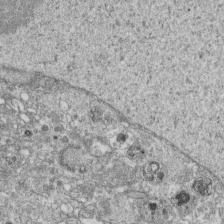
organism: Human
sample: HeLa cell HIV synapse